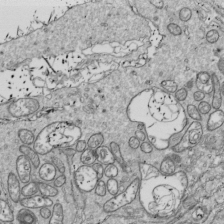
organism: Drosophila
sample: Cell division; meiosis; drosophila spermatocytes